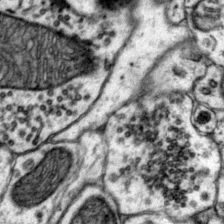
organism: Mouse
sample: Primary visual cortex